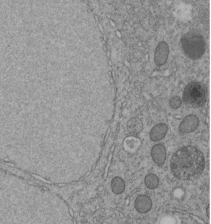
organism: C. elegans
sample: C. elegans embryo early stage